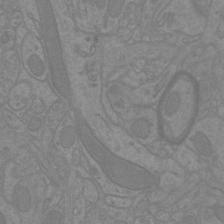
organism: Mouse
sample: Cortical neurons